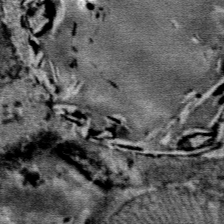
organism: Mouse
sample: Mouse Salivary gland